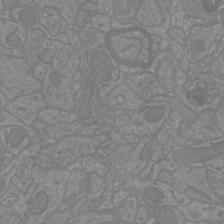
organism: Mouse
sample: Cortical neurons